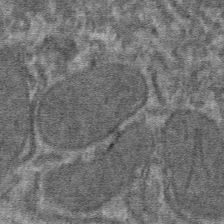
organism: Mouse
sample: Mouse hepatocytes